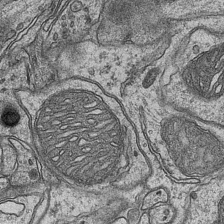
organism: Mouse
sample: CA1 Hippocampus